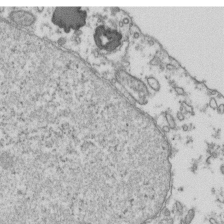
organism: Human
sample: Activated Jurkat CD4+ T cells